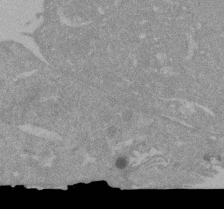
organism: Mouse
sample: ED-1 cell nuclei; centrioles